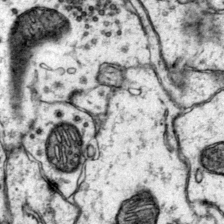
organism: Mouse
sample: Primary visual cortex